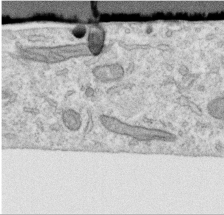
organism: Human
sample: Centriole in RPE cells